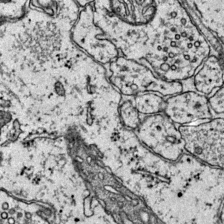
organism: Mouse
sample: Primary visual cortex